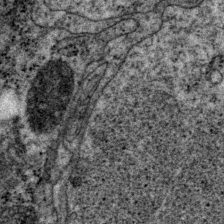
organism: P. pacificus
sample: Pharynx